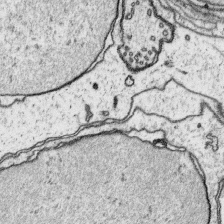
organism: Platynereis dumerilii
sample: Parapodia